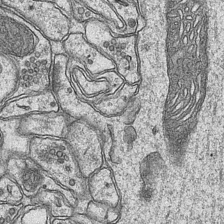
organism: Mouse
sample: CA1 Hippocampus